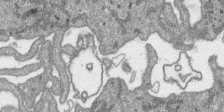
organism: Human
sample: Lung epithelial cells infected with SARS-CoV-2